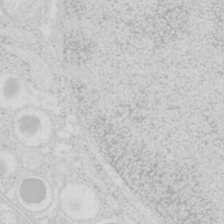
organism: Mouse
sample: Pancreas